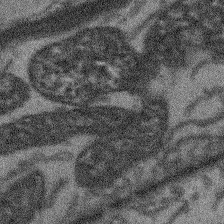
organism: Arabidopsis thaliana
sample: Root tip